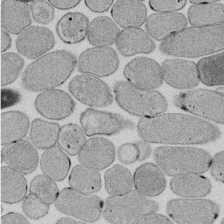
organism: E. coli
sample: Bacterial nucleoid